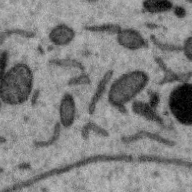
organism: Zebra finch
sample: Brain